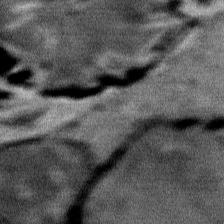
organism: Mouse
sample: Mouse Salivary gland